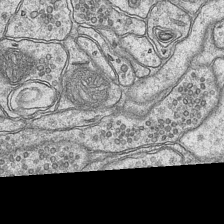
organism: Mouse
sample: CA1 Hippocampus